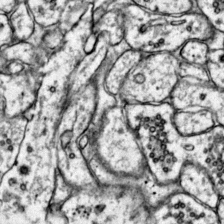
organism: Mouse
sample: Primary visual cortex